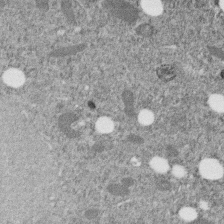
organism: C. elegans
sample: C. elegans embryo early stage